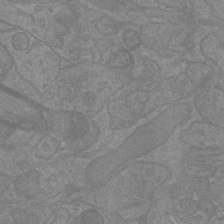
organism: Mouse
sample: Cortical neurons